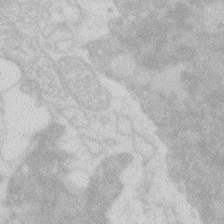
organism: Zebrafish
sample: Macrophage